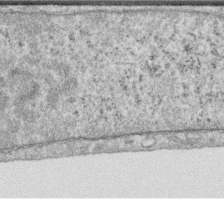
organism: Human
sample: Centriole in RPE cells